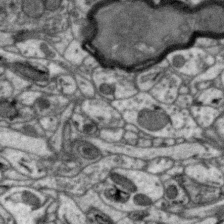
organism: Zebra finch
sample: Brain